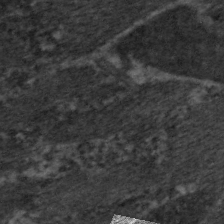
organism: C. elegans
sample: Pharynx